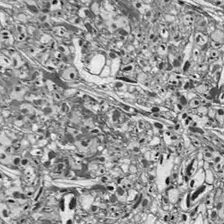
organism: Drosophila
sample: Optic lobe